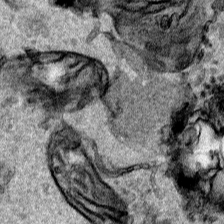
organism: Human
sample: Mitochondria in HCT116 cells